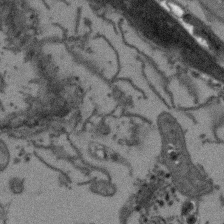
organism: Arabidopsis thaliana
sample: Root tip